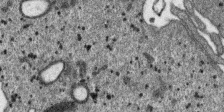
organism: Human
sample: Lung epithelial cells infected with SARS-CoV-2